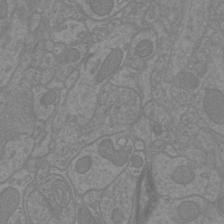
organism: Mouse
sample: Cortical neurons